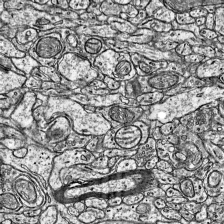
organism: Mouse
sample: Visual Cortex